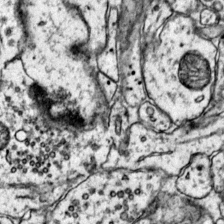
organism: Mouse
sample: Primary visual cortex